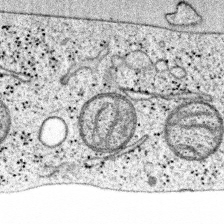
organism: Human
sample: HeLa cells